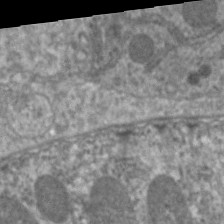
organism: C. elegans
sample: Pharynx